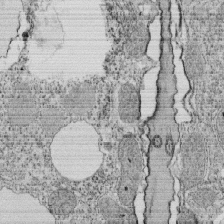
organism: Tetrahymena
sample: Cilia in tetrahymena